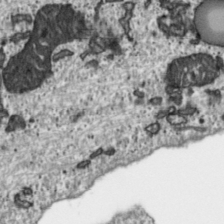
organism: Toxoplasma gondii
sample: Parasites in a vacuole inside a host cell